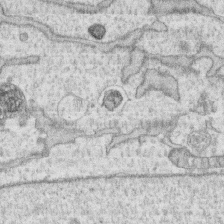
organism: Human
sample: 1205lu cells